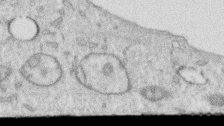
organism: Human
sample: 1205lu cells